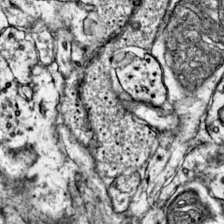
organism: Mouse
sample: Primary visual cortex